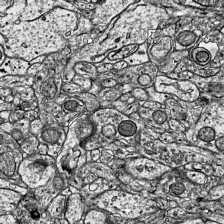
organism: Mouse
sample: Visual Cortex